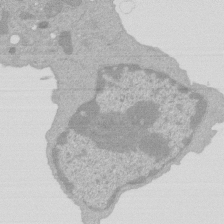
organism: Mouse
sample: Activated Pmel transgenic CD8+ T Cells